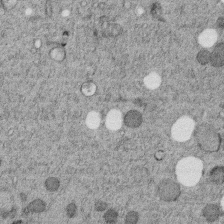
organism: C. elegans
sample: C. elegans embryo early stage